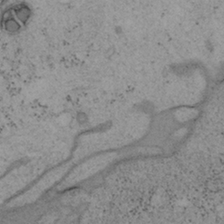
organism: Mouse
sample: OT-I killer T cells with ID8 ovarian cancer cells